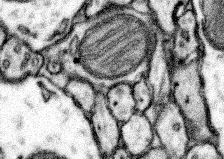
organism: Mouse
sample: Somatosensory cortex neuropil